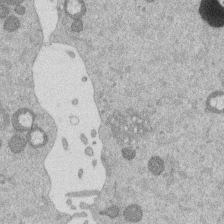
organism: Mouse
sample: Dividing mouse embryo 1 cell stage